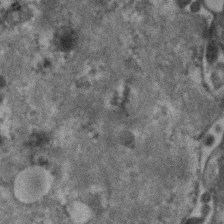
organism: Human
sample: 1205lu cells